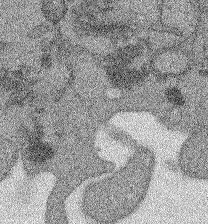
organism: Human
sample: HeLa cells